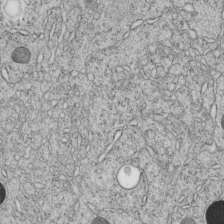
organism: C. elegans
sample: C. elegans embryo early stage